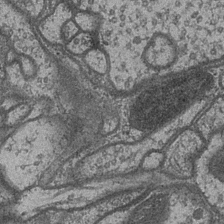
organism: Drosophila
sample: Optic medulla